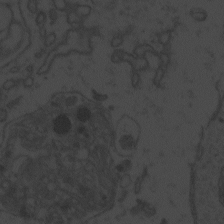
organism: Zebrafish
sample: Macrophage infected with Toxoplasma gondii